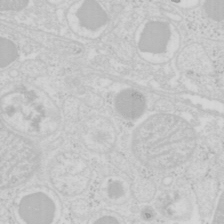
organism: Mouse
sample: Pancreas